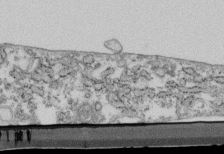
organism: Mouse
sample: Cilia; retinal pigment epithelium